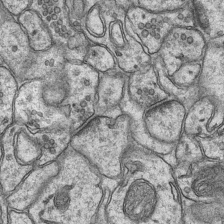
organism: Mouse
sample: CA1 Hippocampus